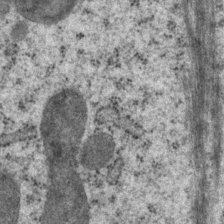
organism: P. pacificus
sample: Pharynx